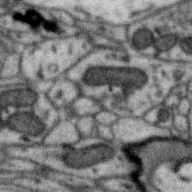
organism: Zebra finch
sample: Brain